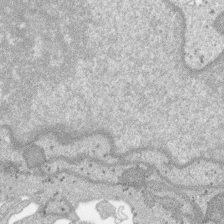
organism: Human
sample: Lung epithelial cells infected with SARS-CoV-2